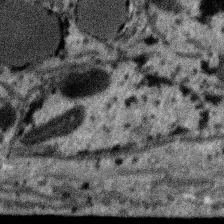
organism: Human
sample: Lung epithelial cells infected with SARS-CoV-2